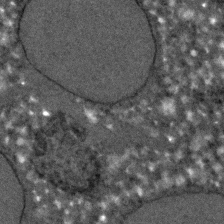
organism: C. elegans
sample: C. elegans embryo